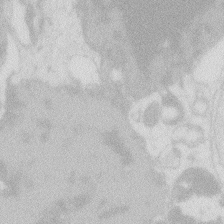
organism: Zebrafish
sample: Macrophage